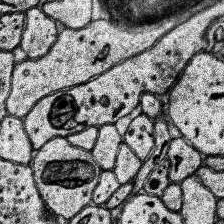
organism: Human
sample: Temporal Lobe